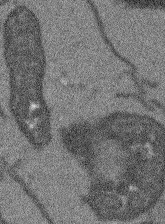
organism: Arabidopsis thaliana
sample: Root tip